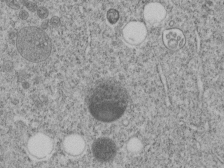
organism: C. elegans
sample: C. elegans embryo early stage